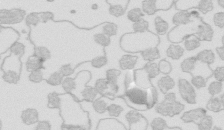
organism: Mouse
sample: Multiciliated cells